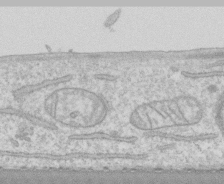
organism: Human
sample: CRL-1474